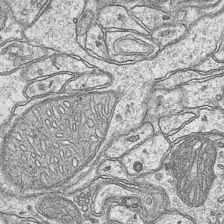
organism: Mouse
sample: CA1 Hippocampus